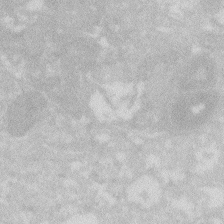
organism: Zebrafish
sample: Macrophage